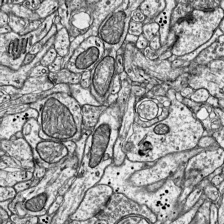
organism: Mouse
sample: Visual Cortex